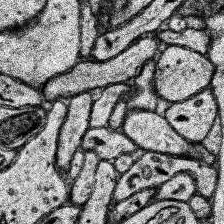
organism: Human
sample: Temporal Lobe